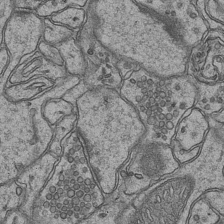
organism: Mouse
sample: CA1 Hippocampus